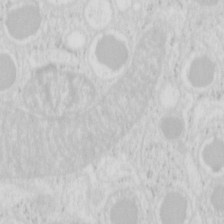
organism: Mouse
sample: Pancreas